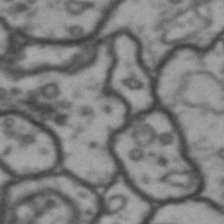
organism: Drosophila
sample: Brain